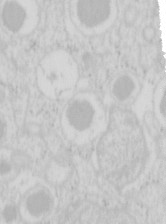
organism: Mouse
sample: Pancreas